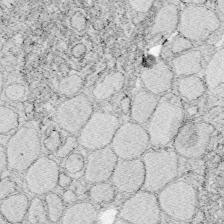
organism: Zebrafish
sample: Whole-Brain